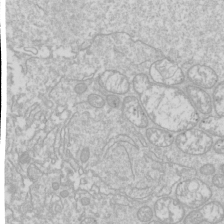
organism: Drosophila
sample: Cell division; meiosis; drosophila spermatocytes